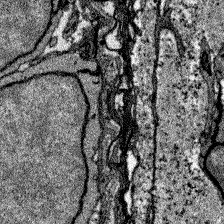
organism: Zebrafish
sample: Larval olfactory bulb